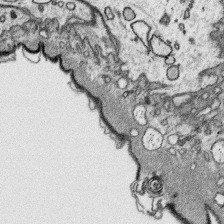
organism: Platynereis dumerilii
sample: Parapodia